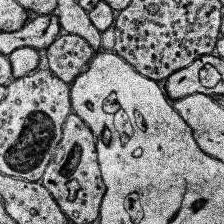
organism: Human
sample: Temporal Lobe